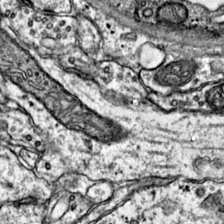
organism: Mouse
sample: Primary visual cortex